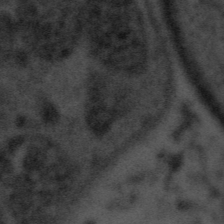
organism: Tuwongella immobilis